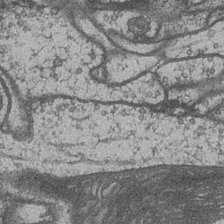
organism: Drosophila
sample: Optic medulla